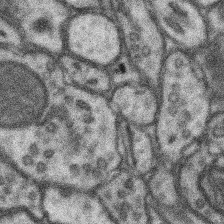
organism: Mouse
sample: Somatosensory cortex neuropil